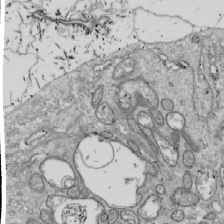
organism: Drosophila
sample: Cell division; meiosis; drosophila spermatocytes